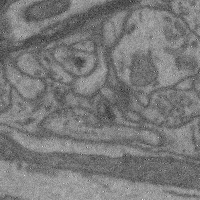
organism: Mouse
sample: Cerebral cortex